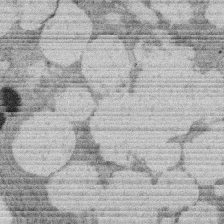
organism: Rat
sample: Salivary granule